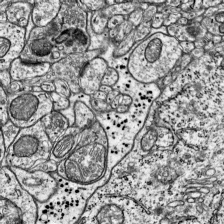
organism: Mouse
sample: Visual Cortex